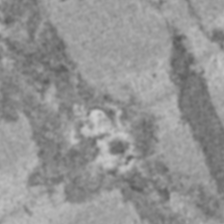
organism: C57BL Mouse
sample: Heart